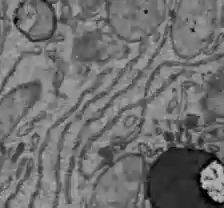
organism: C57BL Mouse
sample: Liver